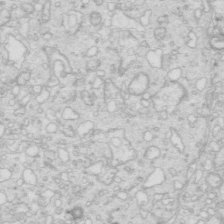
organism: Mouse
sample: Multiciliated cells